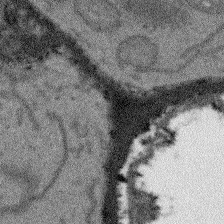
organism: Arabidopsis thaliana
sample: Root tip